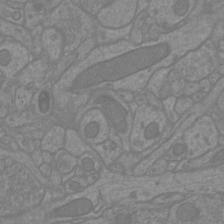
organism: Mouse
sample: Cortical neurons